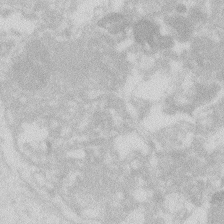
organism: Zebrafish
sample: Macrophage